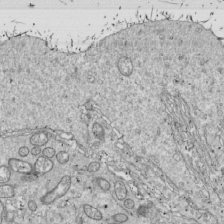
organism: Drosophila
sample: Cell division; meiosis; drosophila spermatocytes